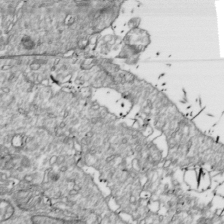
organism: Drosophila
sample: Cell division; meiosis; drosophila spermatocytes